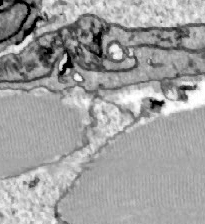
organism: Zebrafish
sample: Actinotrichia fibers